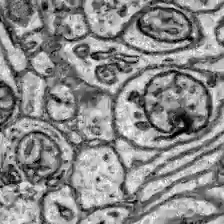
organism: Zebrafish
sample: Brain